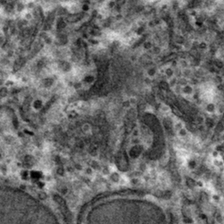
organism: Mouse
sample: Mouse hepatocytes